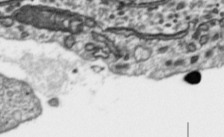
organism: Toxoplasma gondii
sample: Parasites in a vacuole inside a host cell